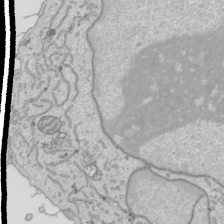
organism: Human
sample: Mitochondria in HCT116 cells